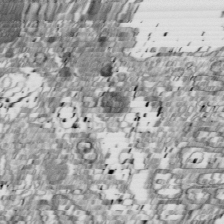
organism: Drosophila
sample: Cell division; meiosis; drosophila spermatocytes